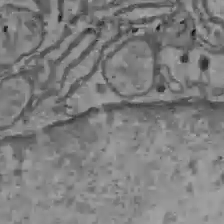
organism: C57BL Mouse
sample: Liver